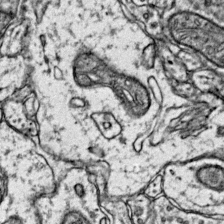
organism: Mouse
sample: Primary visual cortex